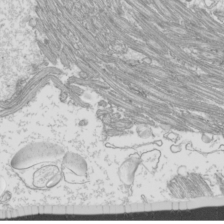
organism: Mouse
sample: Cilia; mouse epididymis